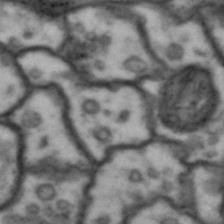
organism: Drosophila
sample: Brain